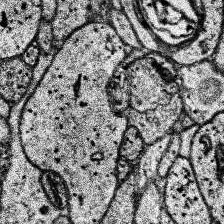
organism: Human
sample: Temporal Lobe